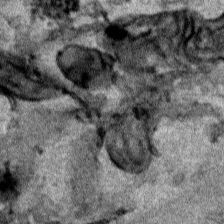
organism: Human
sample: Mitochondria in HCT116 cells